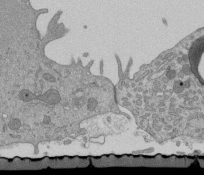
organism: Mouse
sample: ED-1 cell nuclei; centrioles